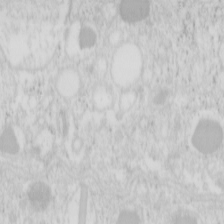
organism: Mouse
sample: Pancreas